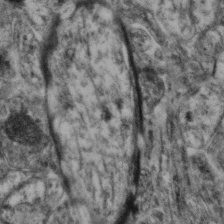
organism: Mouse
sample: Neocortex